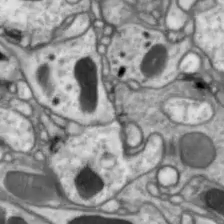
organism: Drosophila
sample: Optic lobe